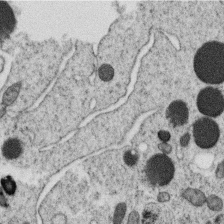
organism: C. elegans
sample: C. elegans oocyte; sperm cells